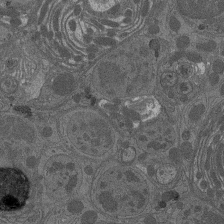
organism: Drosophila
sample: Antenna